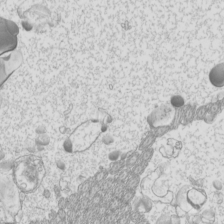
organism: Mouse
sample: Cilia; mouse epididymis